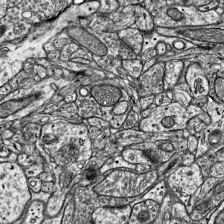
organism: Mouse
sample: Visual Cortex